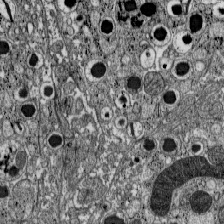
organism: C57BL Mouse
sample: Pancreatic islet